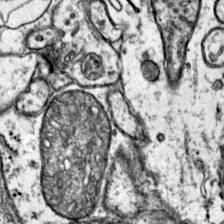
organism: Mouse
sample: Primary visual cortex